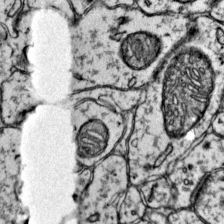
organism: Mouse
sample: Primary visual cortex